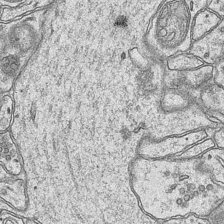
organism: Mouse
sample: CA1 Hippocampus